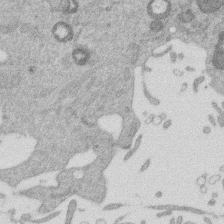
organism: Mouse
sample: Dividing mouse embryo 1 cell stage